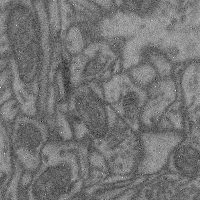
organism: Mouse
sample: Cerebral cortex